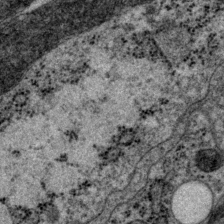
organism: P. pacificus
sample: Pharynx